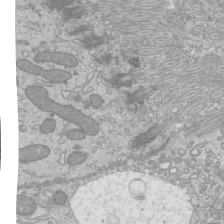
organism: Mouse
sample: Cilia; mouse epididymis